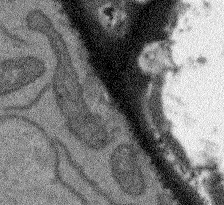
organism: Arabidopsis thaliana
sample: Root tip